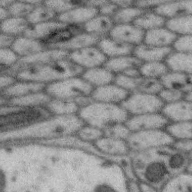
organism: Zebra finch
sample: Brain